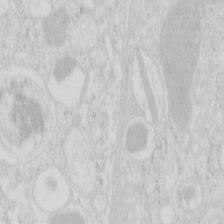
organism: Mouse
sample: Pancreas